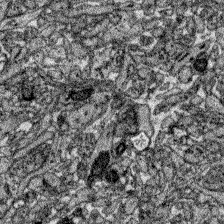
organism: Zebrafish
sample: Larval olfactory bulb